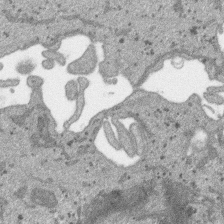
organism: Human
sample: Lung epithelial cells infected with SARS-CoV-2